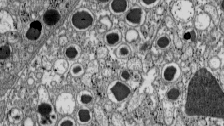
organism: C57BL Mouse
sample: Pancreatic islet